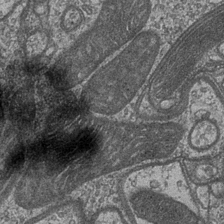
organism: Drosophila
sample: Optic medulla